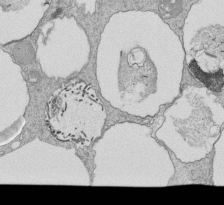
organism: Tetrahymena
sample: Cilia in tetrahymena